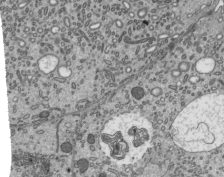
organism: Mouse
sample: Mouse epididymis efferent ductule cilia